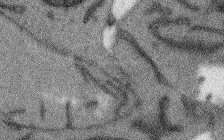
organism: Arabidopsis thaliana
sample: Root tip